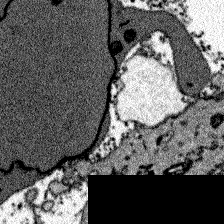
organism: Zebrafish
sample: Larval olfactory bulb